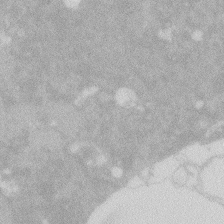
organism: Zebrafish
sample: Macrophage